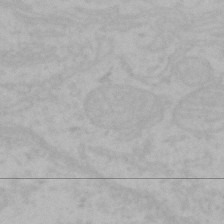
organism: Mouse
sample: Choroid plexus